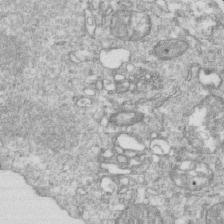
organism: Mouse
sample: Activated OT-1 CD8+ T cells